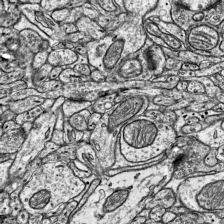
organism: Mouse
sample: Visual Cortex